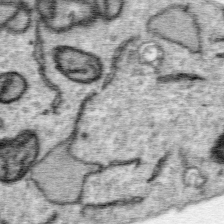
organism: Human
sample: HeLa cells